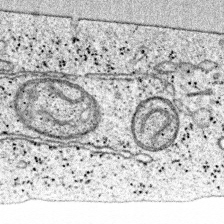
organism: Human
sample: HeLa cells